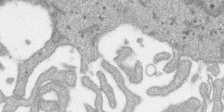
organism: Human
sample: Lung epithelial cells infected with SARS-CoV-2